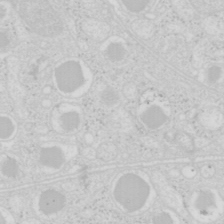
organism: Mouse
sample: Pancreas